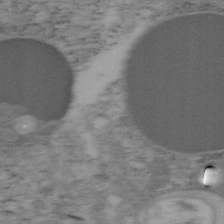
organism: Mouse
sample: OT-I killer T cells with ID8 ovarian cancer cells